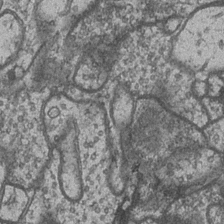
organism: Drosophila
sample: Optic medulla